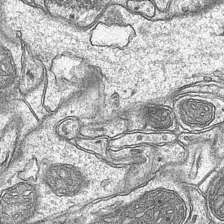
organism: Mouse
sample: CA1 Hippocampus